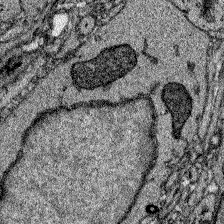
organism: Zebrafish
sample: Larval olfactory bulb